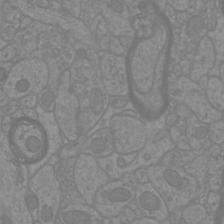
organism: Mouse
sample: Cortical neurons